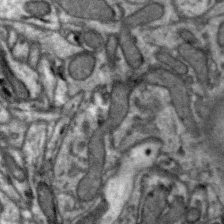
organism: Zebra finch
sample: Brain